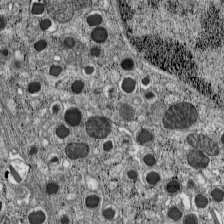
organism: C57BL Mouse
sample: Pancreatic islet